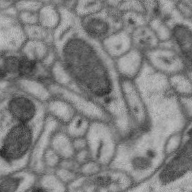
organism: Zebra finch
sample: Brain